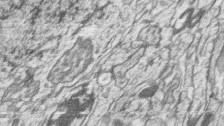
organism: Zebrafish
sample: synaptic ribbons in rod cells and cone cells